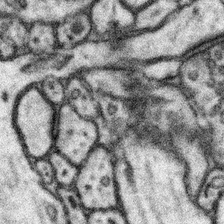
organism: Mouse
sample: Somatosensory cortex neuropil